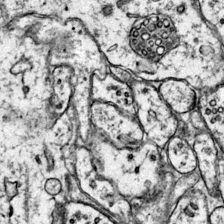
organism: Mouse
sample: Primary visual cortex